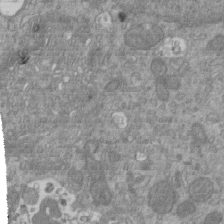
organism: Mouse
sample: ED-1 cell nuclei; centrioles